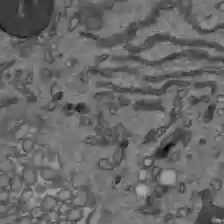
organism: C57BL Mouse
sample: Liver